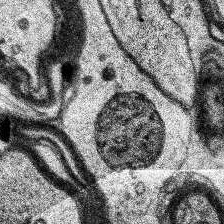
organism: Human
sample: Temporal Lobe